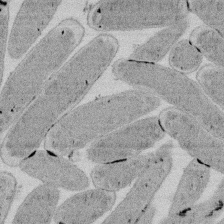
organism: E. coli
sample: Bacterial nucleoid